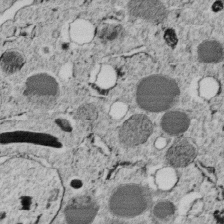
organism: C. elegans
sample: C. elegans embryo early stage